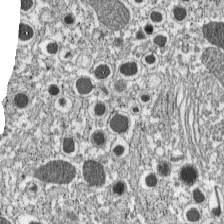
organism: C57BL Mouse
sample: Pancreatic islet